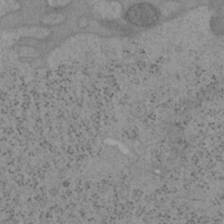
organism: Mouse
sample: OT-I killer T cells with ID8 ovarian cancer cells